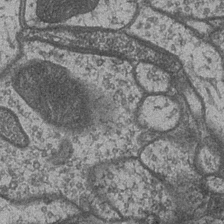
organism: Drosophila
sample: Optic medulla